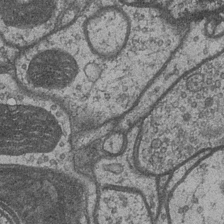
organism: Drosophila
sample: Optic medulla